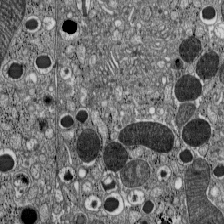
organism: C57BL Mouse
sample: Pancreatic islet